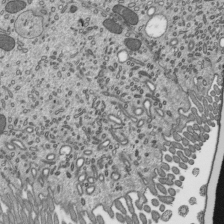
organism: Mouse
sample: Mouse epididymis efferent ductule cilia